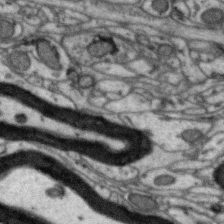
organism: Zebra finch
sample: Brain